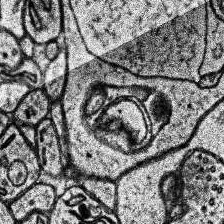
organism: Human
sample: Temporal Lobe